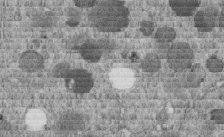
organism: C. elegans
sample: C. elegans embryo early stage